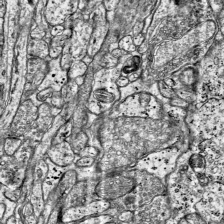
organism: Mouse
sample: Visual Cortex